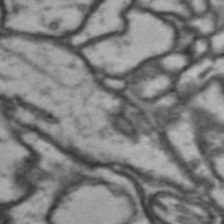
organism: Drosophila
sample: Brain